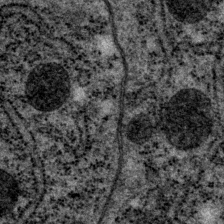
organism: P. pacificus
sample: Pharynx